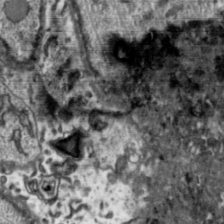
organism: Toxoplasma gondii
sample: Parasites in a vacuole inside a host cell